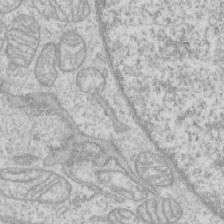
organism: Human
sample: CRL-1474